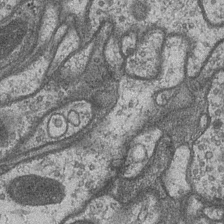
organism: Drosophila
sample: Optic medulla